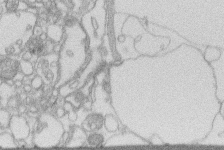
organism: Human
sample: Macrophage cells